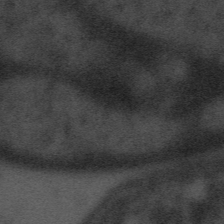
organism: Tuwongella immobilis